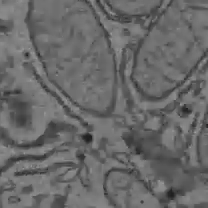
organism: C57BL Mouse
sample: Liver